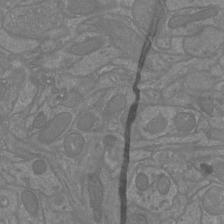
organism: Mouse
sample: Cortical neurons